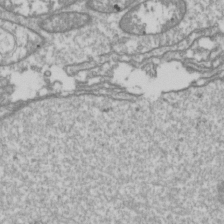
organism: Drosophila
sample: Cell division; meiosis; drosophila spermatocytes